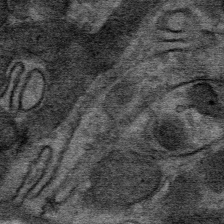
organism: Mouse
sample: Mouse Salivary gland